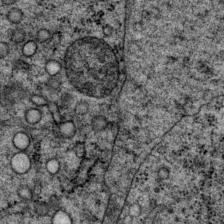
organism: P. pacificus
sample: Pharynx